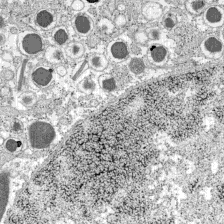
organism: C57BL Mouse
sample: Pancreatic islet